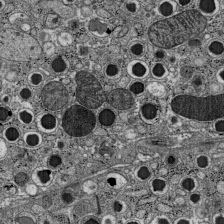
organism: C57BL Mouse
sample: Pancreatic islet